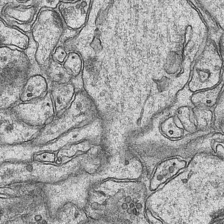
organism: Mouse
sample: CA1 Hippocampus